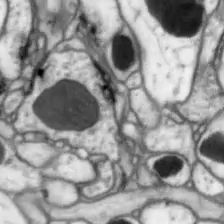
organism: Drosophila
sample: Optic lobe